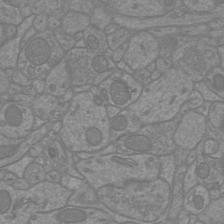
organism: Mouse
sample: Cortical neurons